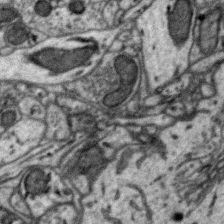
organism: Zebra finch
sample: Brain